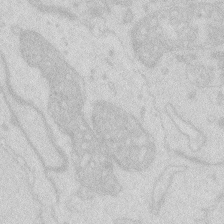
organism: Zebrafish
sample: Macrophage